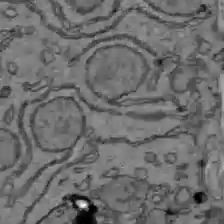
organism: C57BL Mouse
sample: Liver